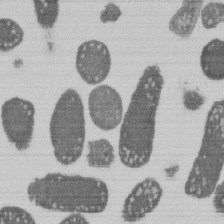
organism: E. coli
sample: Bacterial nucleoid